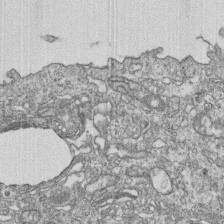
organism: Human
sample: HeLa cell HIV synapse